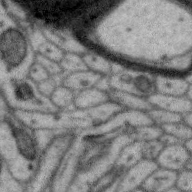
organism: Zebra finch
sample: Brain